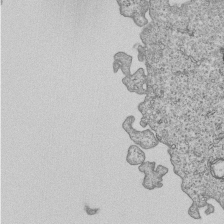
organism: Human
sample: MDA-MB-231 cells